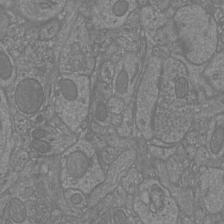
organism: Mouse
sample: Cortical neurons